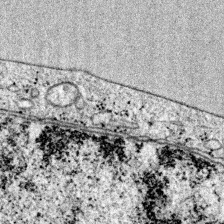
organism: Human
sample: HeLa cells